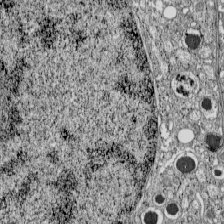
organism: C57BL Mouse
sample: Pancreatic islet